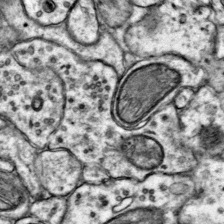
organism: Mouse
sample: Primary visual cortex